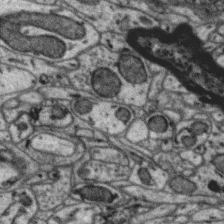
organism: Zebra finch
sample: Brain